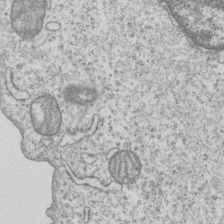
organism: Human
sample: MDA-MB-231 cells